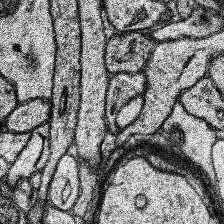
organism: Human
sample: Temporal Lobe